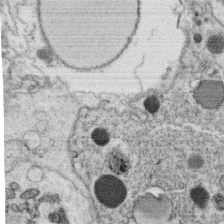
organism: C. elegans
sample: C. elegans oocyte; sperm cells